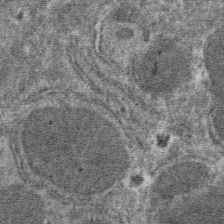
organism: Mouse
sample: Mouse hepatocytes